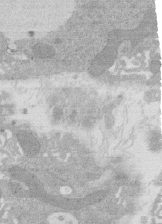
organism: Rat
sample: Salivary granule